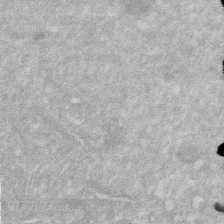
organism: Human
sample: HIV infected U937 cells